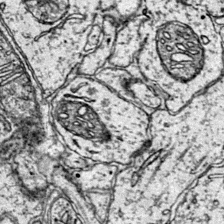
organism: Mouse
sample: Primary visual cortex